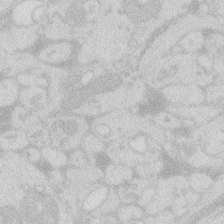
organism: Zebrafish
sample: Macrophage